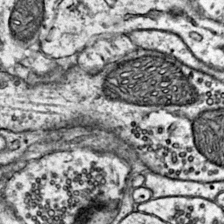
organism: Mouse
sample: Primary visual cortex